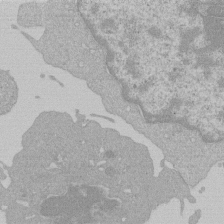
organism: Mouse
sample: Activated Pmel transgenic CD8+ T Cells